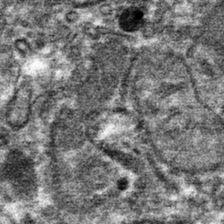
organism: Mouse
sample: Mouse hepatocytes